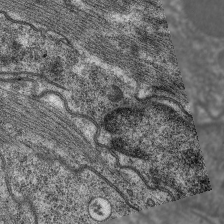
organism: C. elegans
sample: Pharynx